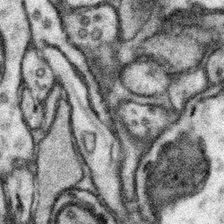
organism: Mouse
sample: Somatosensory cortex neuropil